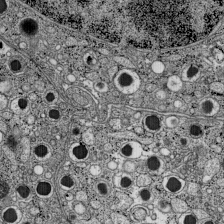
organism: C57BL Mouse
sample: Pancreatic islet